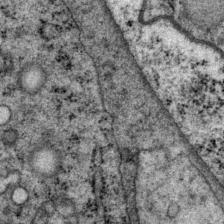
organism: P. pacificus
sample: Pharynx